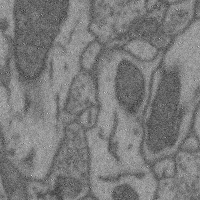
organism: Mouse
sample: Cerebral cortex